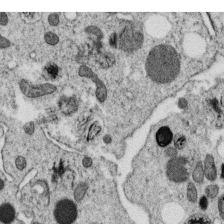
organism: C. elegans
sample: C. elegans oocyte; sperm cells